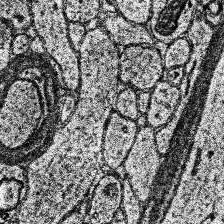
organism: Human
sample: Temporal Lobe